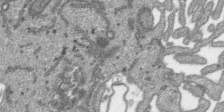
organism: Human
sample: Lung epithelial cells infected with SARS-CoV-2